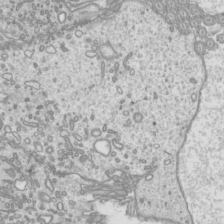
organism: Mouse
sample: Cilia; mouse epididymis